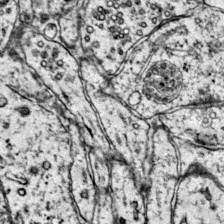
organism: Mouse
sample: Primary visual cortex